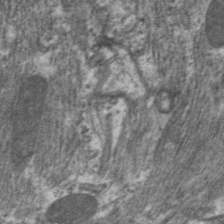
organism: C. elegans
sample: Pharynx